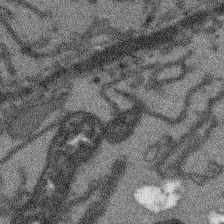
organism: Arabidopsis thaliana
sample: Root tip